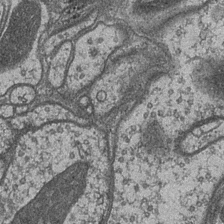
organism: Drosophila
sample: Optic medulla